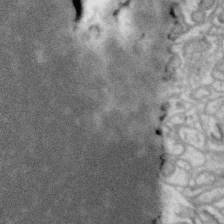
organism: Zebra finch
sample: Brain